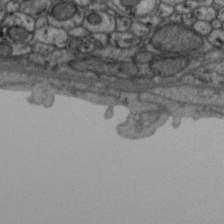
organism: Zebra finch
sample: Brain